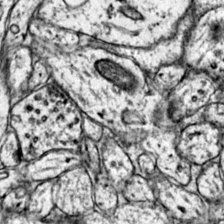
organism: Mouse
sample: Primary visual cortex